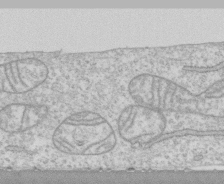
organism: Human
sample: CRL-1474